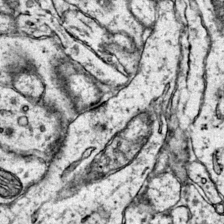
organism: Mouse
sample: Primary visual cortex